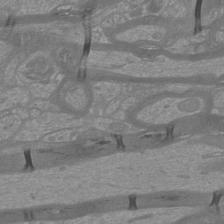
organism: Mouse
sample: Cortical neurons